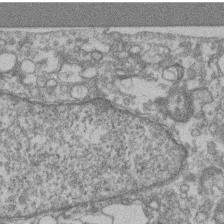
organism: Mouse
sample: T cell stromal cell synapse